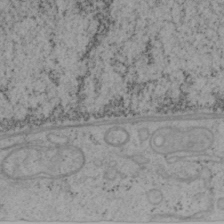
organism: Human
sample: HeLa cells